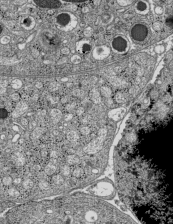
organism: C57BL Mouse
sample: Pancreatic islet